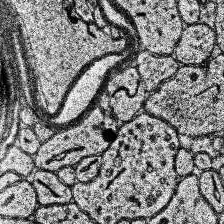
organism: Human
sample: Temporal Lobe